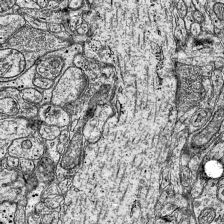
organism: Mouse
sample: Visual Cortex